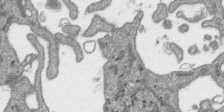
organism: Human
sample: Lung epithelial cells infected with SARS-CoV-2